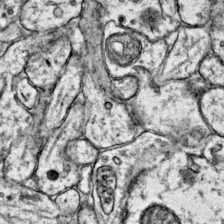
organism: Mouse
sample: Primary visual cortex